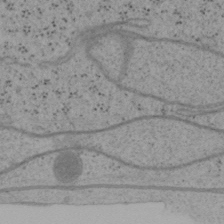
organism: Human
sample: HeLa cells